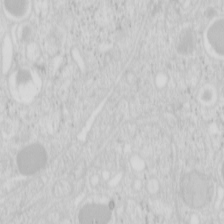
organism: Mouse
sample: Pancreas